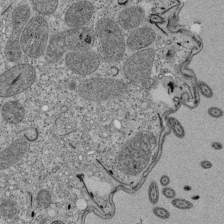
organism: Tetrahymena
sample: Cilia in tetrahymena